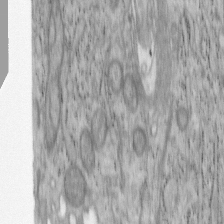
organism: Human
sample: HeLa cells